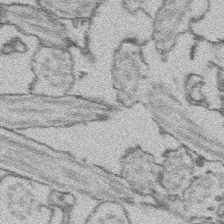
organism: Platynereis dumerilii